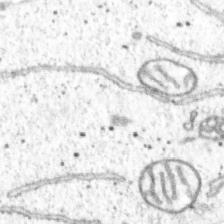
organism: Human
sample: HeLa cells